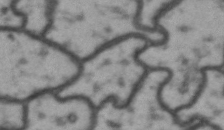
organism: Drosophila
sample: Brain